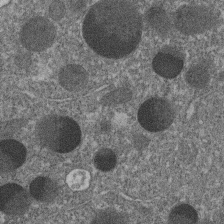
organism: C. elegans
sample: C. elegans embryo early stage